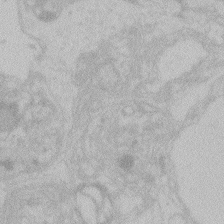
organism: Zebrafish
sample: Macrophage infected with Toxoplasma gondii